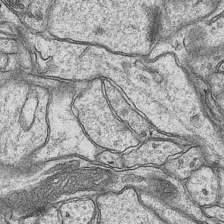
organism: Mouse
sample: CA1 Hippocampus